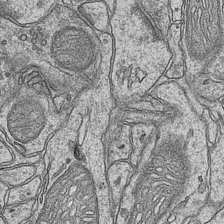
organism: Mouse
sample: CA1 Hippocampus